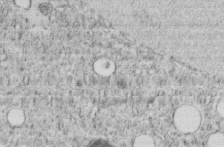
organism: C. elegans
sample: C. elegans embryo early stage